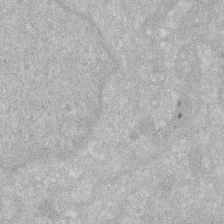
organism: Human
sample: HIV infected U937 cells